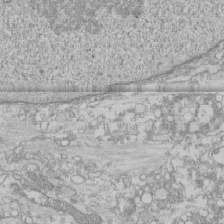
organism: Human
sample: CRL-1474